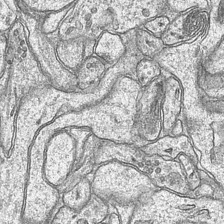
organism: Mouse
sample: CA1 Hippocampus